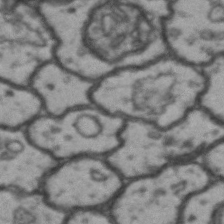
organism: Drosophila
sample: Brain